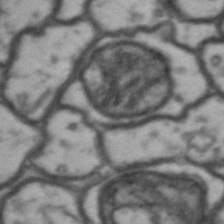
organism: Drosophila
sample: Brain